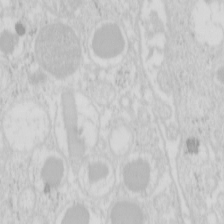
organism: Mouse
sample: Pancreas